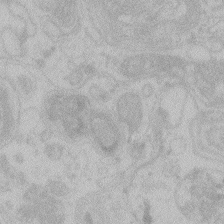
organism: Zebrafish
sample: Macrophage infected with Toxoplasma gondii